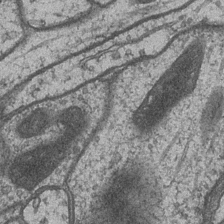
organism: Drosophila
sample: Optic medulla